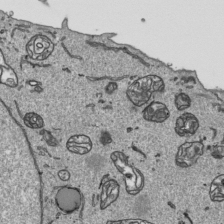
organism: Human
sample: Mitochondria in HCT116 cells